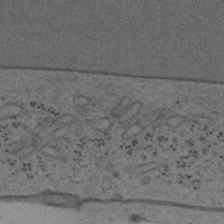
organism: Human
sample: HeLa cells